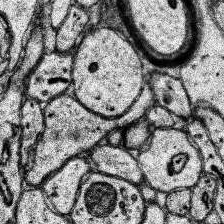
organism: Human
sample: Temporal Lobe